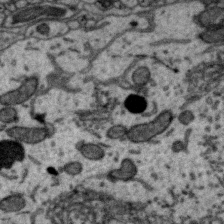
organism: Zebra finch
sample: Brain